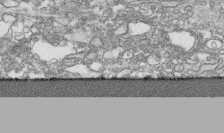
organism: Human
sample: CRL-1474